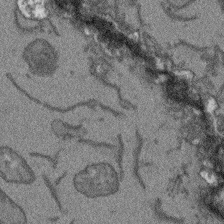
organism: Arabidopsis thaliana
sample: Root tip